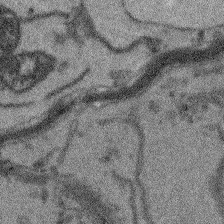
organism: Arabidopsis thaliana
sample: Root tip